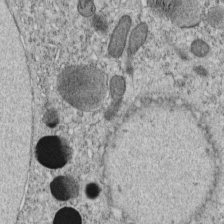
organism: C. elegans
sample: C. elegans embryo early stage